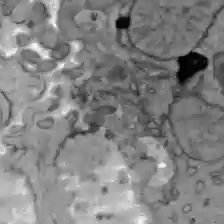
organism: C57BL Mouse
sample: Liver